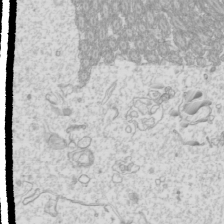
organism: Mouse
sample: Cilia; mouse epididymis